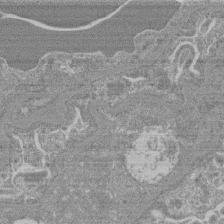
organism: Mouse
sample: Glomerulus